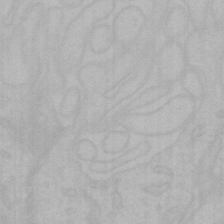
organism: Mouse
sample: Choroid plexus